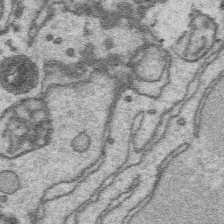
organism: Platynereis dumerilii